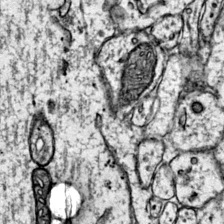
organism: Mouse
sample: Primary visual cortex